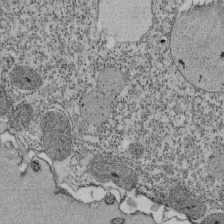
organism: Tetrahymena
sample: Cilia in tetrahymena